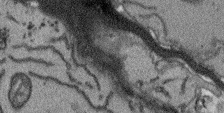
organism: Arabidopsis thaliana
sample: Root tip